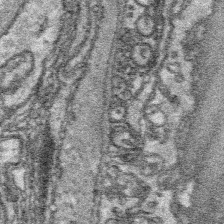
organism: Platynereis dumerilii